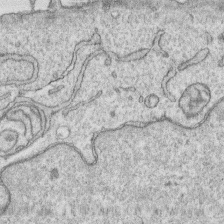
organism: Human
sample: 1205lu cells